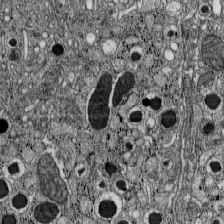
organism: C57BL Mouse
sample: Pancreatic islet